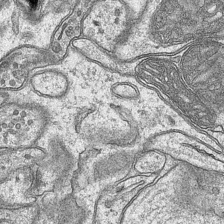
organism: Mouse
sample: CA1 Hippocampus